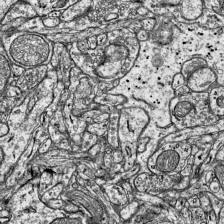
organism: Mouse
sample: Visual Cortex